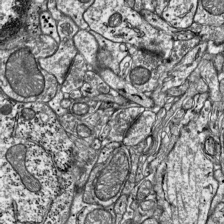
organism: Mouse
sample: Visual Cortex